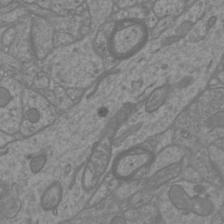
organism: Mouse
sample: Cortical neurons